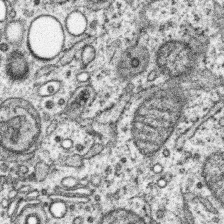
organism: Human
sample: HeLa cells